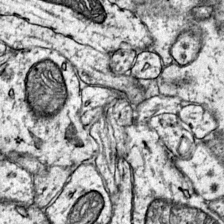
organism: Mouse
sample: Primary visual cortex